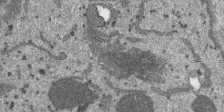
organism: Human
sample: Lung epithelial cells infected with SARS-CoV-2